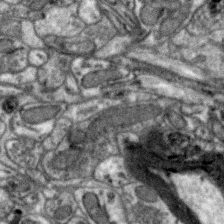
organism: Zebra finch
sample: Brain